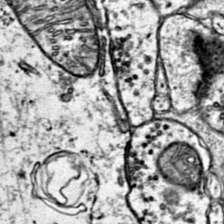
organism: Mouse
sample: Primary visual cortex